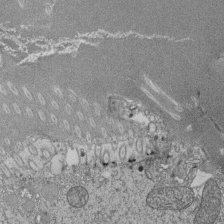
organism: Tetrahymena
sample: Cilia in tetrahymena